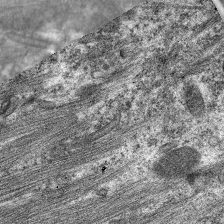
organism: C. elegans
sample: Pharynx